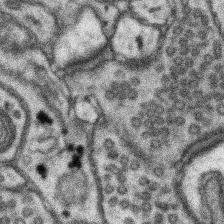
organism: Mouse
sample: Somatosensory cortex neuropil